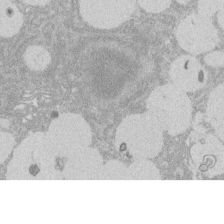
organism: Rat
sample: Salivary granule